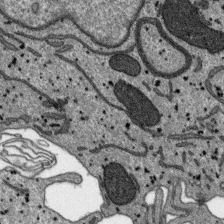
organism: Human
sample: Lung epithelial cells, uninfected (mock) control